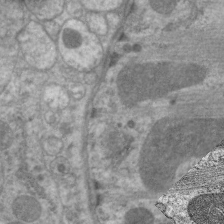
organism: C. elegans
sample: Pharynx